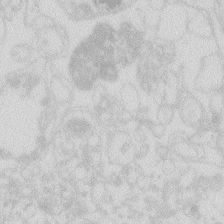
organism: Zebrafish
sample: Macrophage